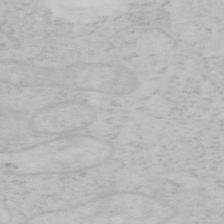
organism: Mouse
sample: OT-I killer T cells with ID8 ovarian cancer cells